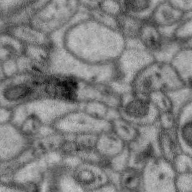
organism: Zebra finch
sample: Brain